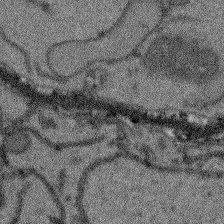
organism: Arabidopsis thaliana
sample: Root tip